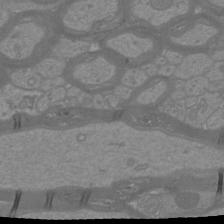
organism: Mouse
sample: Cortical neurons